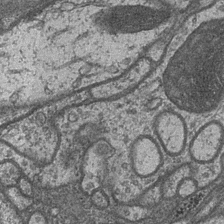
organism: Drosophila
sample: Optic medulla